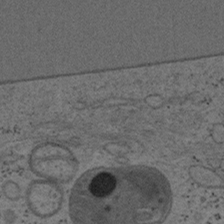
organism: Human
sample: HeLa cells